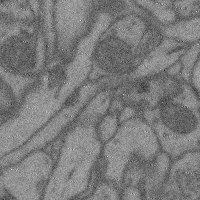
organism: Mouse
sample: Cerebral cortex